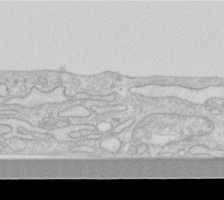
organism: Human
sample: Fibroblast cells